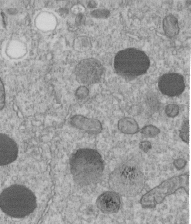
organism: C. elegans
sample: C. elegans embryo early stage